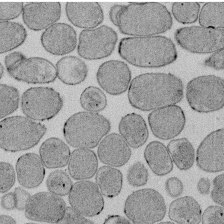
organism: E. coli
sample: Bacterial nucleoid